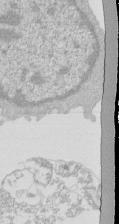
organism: Mouse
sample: Activated Pmel transgenic CD8+ T Cells